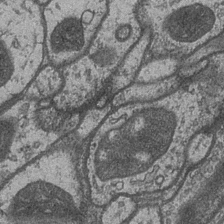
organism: Drosophila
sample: Optic medulla